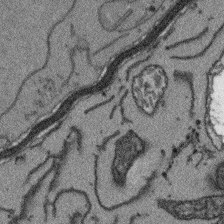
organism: Arabidopsis thaliana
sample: Root tip